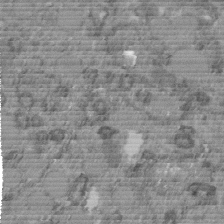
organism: C. elegans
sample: C. elegans embryo early stage